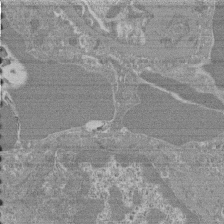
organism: Mouse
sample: Glomerulus